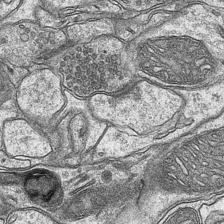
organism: Mouse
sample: CA1 Hippocampus